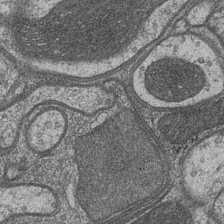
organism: Drosophila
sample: Optic medulla